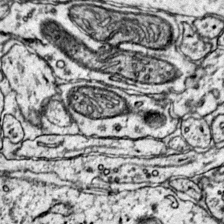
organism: Mouse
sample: Primary visual cortex